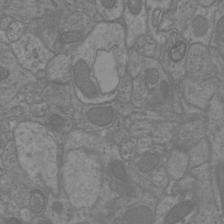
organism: Mouse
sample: Cortical neurons